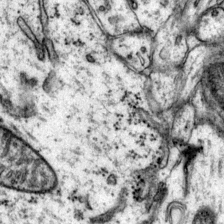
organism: Mouse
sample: Primary visual cortex